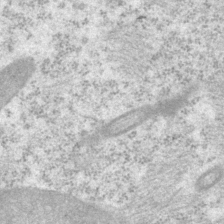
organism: P. pacificus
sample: Pharynx